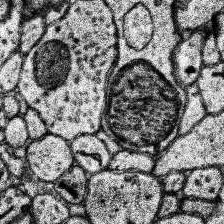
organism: Human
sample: Temporal Lobe